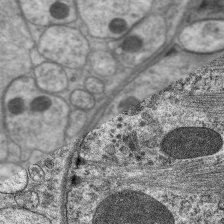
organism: C. elegans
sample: Pharynx